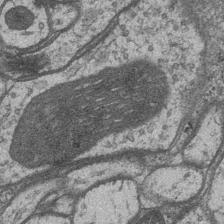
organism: Drosophila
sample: Optic medulla